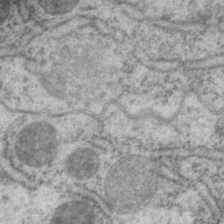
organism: P. pacificus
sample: Pharynx